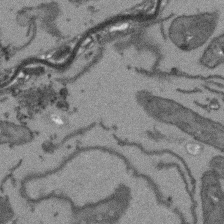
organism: Arabidopsis thaliana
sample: Root tip